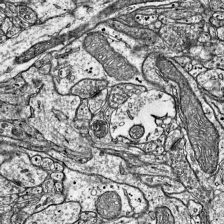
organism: Mouse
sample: Visual Cortex